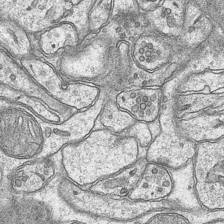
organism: Mouse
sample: CA1 Hippocampus